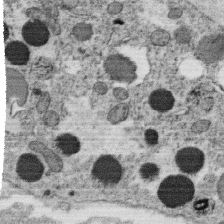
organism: C. elegans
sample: C. elegans oocyte; sperm cells